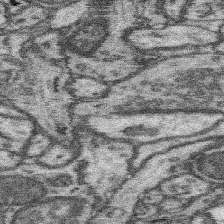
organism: Mouse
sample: Somatosensory cortex neuropil